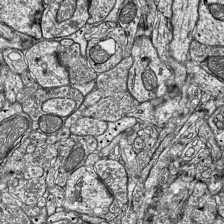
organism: Mouse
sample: Visual Cortex